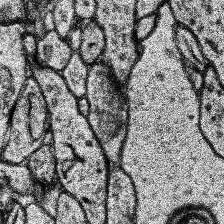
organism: Human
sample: Temporal Lobe